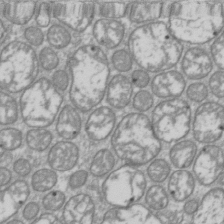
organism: Drosophila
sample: Cell division; meiosis; drosophila spermatocytes